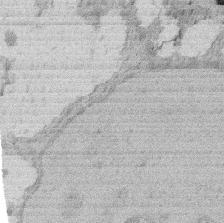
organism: Rat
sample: Salivary granule